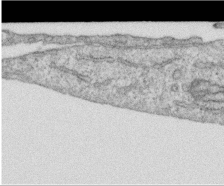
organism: Human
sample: Centriole in RPE cells